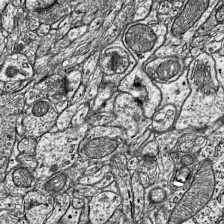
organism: Mouse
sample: Visual Cortex